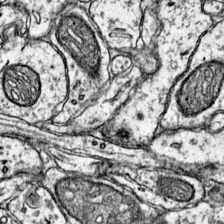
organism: Mouse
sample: Primary visual cortex